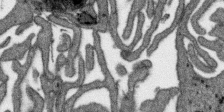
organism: Human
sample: Lung epithelial cells, uninfected (mock) control